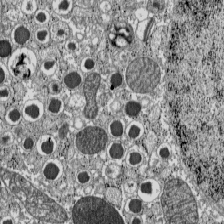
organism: C57BL Mouse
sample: Pancreatic islet